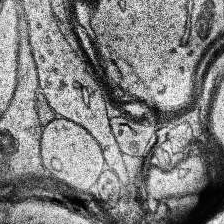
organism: Human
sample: Temporal Lobe